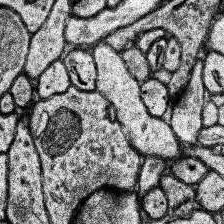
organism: Human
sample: Temporal Lobe